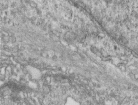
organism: Human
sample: Centriole in RPE cells